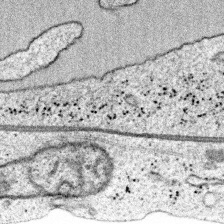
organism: Human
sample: HeLa cells